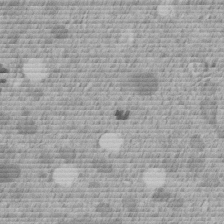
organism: C. elegans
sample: C. elegans embryo early stage